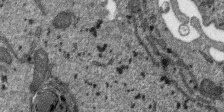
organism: Human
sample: Lung epithelial cells infected with SARS-CoV-2